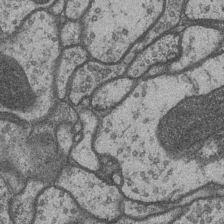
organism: Drosophila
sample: Optic medulla